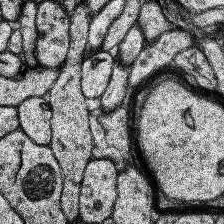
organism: Human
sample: Temporal Lobe